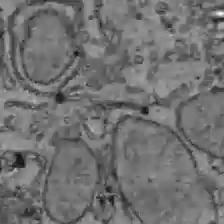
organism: C57BL Mouse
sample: Liver